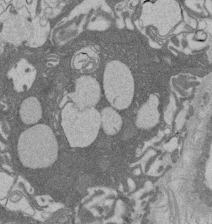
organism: Rat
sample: Salivary granule